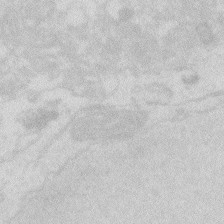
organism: Zebrafish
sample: Macrophage